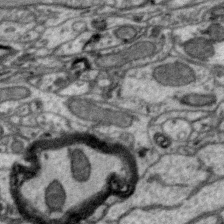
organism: Zebra finch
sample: Brain